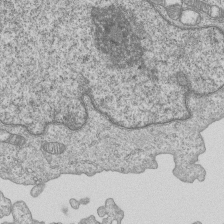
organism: Human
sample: MDA-MB-231 cells